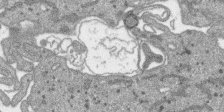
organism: Human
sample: Lung epithelial cells infected with SARS-CoV-2